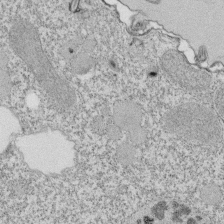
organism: Tetrahymena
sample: Cilia in tetrahymena